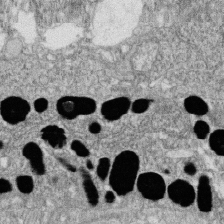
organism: Zebrafish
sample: Cilia; retinal pigment epithelium